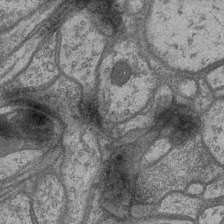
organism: Drosophila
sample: Optic medulla